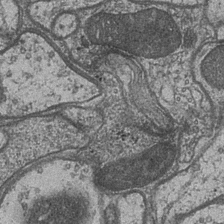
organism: Drosophila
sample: Optic medulla